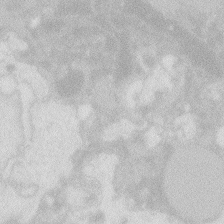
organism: Zebrafish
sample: Macrophage